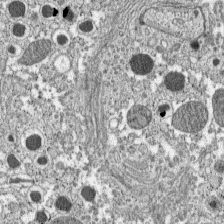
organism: C57BL Mouse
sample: Pancreatic islet